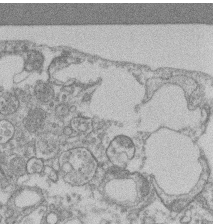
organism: Mouse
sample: T cell stromal cell synapse